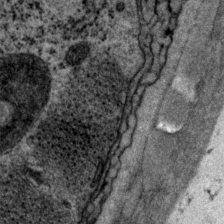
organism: P. pacificus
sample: Pharynx